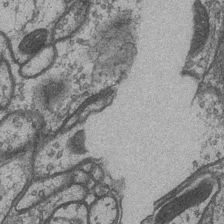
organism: Drosophila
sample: Optic medulla